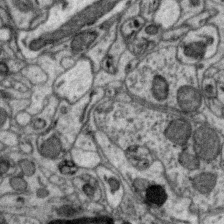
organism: Zebra finch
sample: Brain